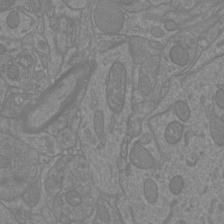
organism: Mouse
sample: Cortical neurons